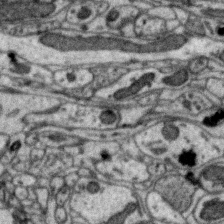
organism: Zebra finch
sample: Brain